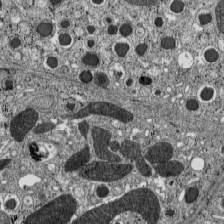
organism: C57BL Mouse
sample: Pancreatic islet